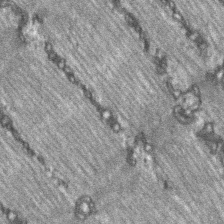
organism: C57BL Mouse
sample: Soleus